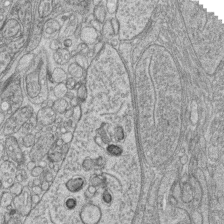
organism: Zebrafish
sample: synaptic ribbons in rod cells and cone cells